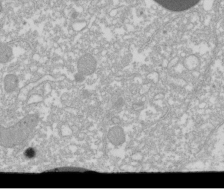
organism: Xenopus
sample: Cilia; centrioles in frog embryo cells